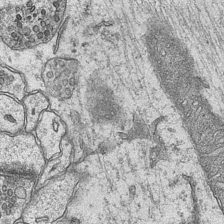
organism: Mouse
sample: CA1 Hippocampus